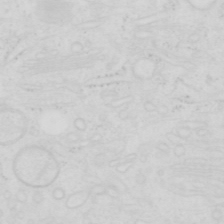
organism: Human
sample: SUM-159 cell